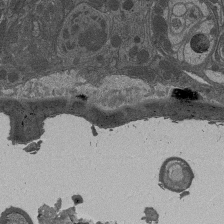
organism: Drosophila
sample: Antenna